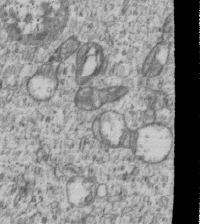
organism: Human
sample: MDA-MB-231 cells